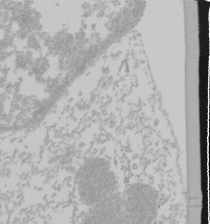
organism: Mouse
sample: Cancer cell death in ED-1 cells